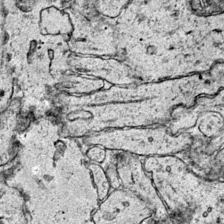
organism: Mouse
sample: Primary visual cortex